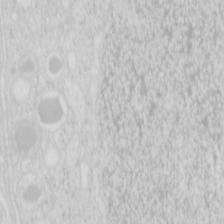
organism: Mouse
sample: Pancreas